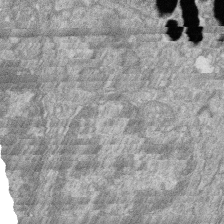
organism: Zebrafish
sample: Cilia; retinal pigment epithelium